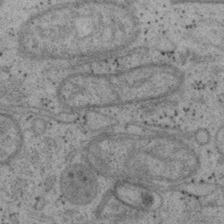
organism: Human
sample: HeLa cells